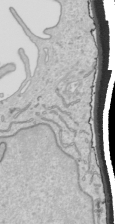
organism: Human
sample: Mitochondria in HCT116 cells